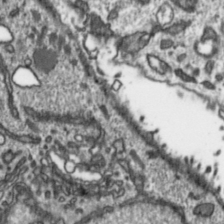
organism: Toxoplasma gondii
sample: Parasites in a vacuole inside a host cell